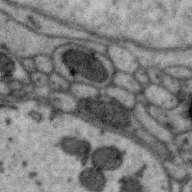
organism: Zebra finch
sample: Brain